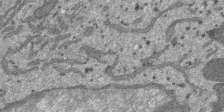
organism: Human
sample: Lung epithelial cells infected with SARS-CoV-2